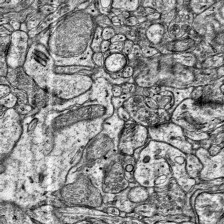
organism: Mouse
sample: Visual Cortex